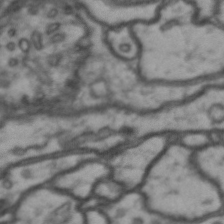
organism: Drosophila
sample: Brain